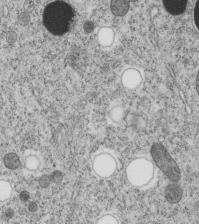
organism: C. elegans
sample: C. elegans embryo early stage